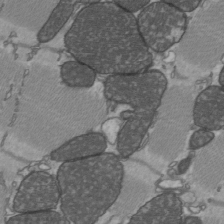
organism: C57BL Mouse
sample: Heart